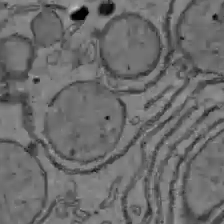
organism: C57BL Mouse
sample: Liver